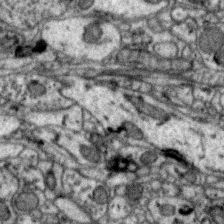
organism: Zebra finch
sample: Brain